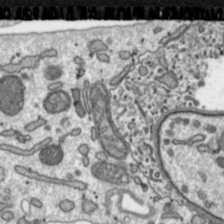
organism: Toxoplasma gondii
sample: Parasites in a vacuole inside a host cell